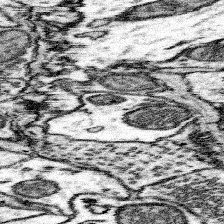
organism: Mouse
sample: Somatosensory cortex neuropil